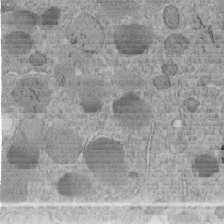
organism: C. elegans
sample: C. elegans embryo early stage